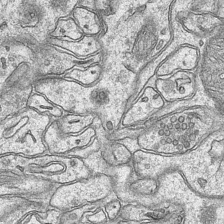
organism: Mouse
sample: CA1 Hippocampus